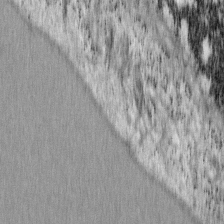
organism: Human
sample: HeLa cells